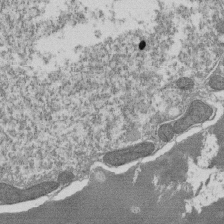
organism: Tetrahymena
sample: Cilia in tetrahymena